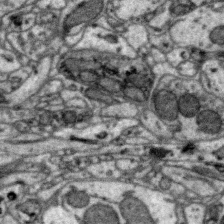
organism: Zebra finch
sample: Brain